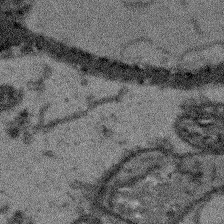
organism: Arabidopsis thaliana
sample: Root tip